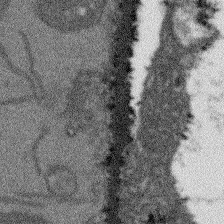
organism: Arabidopsis thaliana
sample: Root tip